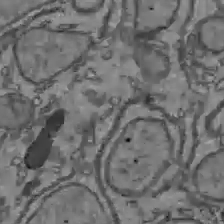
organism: C57BL Mouse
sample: Liver